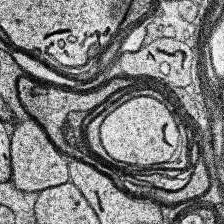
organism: Human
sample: Temporal Lobe